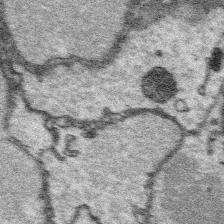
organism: Platynereis dumerilii